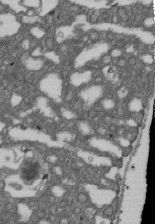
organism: Drosophila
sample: Nephrocyte